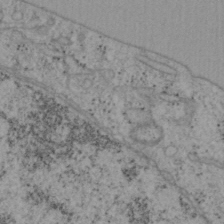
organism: Human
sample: HeLa cells